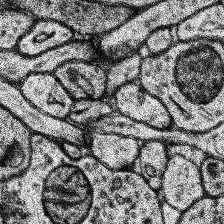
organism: Human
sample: Temporal Lobe